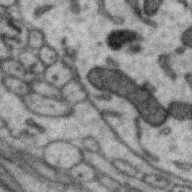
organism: Zebra finch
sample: Brain